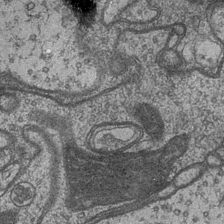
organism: Drosophila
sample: Optic medulla